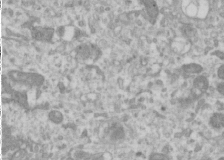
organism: Human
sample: Cilia; basal body in RPE cells